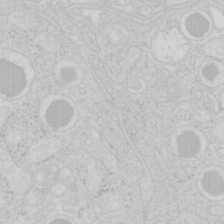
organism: Mouse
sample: Pancreas